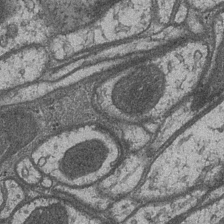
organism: Drosophila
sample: Optic medulla